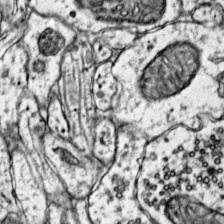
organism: Mouse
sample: Primary visual cortex